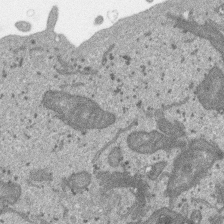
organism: Human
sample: Lung epithelial cells infected with SARS-CoV-2